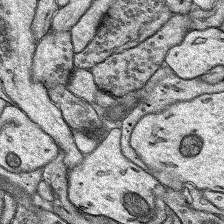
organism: Rat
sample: Hippocampus